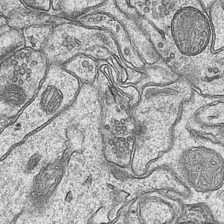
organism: Mouse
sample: CA1 Hippocampus